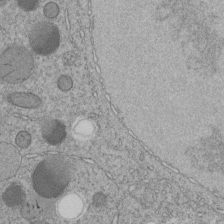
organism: C. elegans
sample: C. elegans embryo early stage